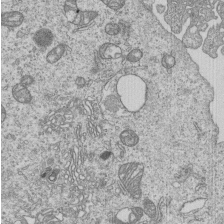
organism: Human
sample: MDA-MB-231 cells